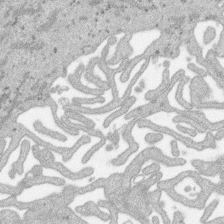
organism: Human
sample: Lung epithelial cells infected with SARS-CoV-2